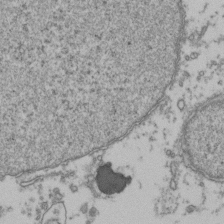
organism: Human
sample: Activated Jurkat CD4+ T cells